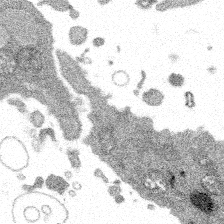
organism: Spongilla lacustris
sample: Multiple